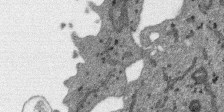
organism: Human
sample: Lung epithelial cells infected with SARS-CoV-2